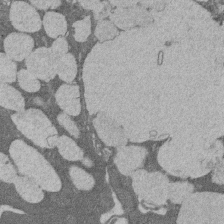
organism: Rat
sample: Salivary granule